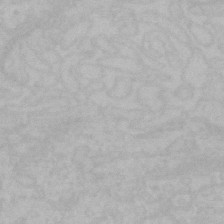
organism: Mouse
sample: Choroid plexus